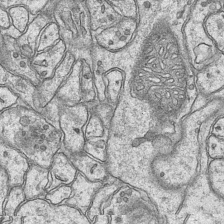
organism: Mouse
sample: CA1 Hippocampus